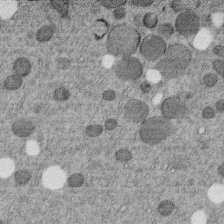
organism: C. elegans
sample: C. elegans embryo early stage